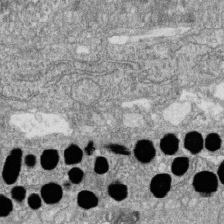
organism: Zebrafish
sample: Cilia; retinal pigment epithelium